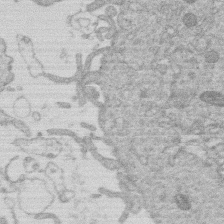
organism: Human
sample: Macrophage cells